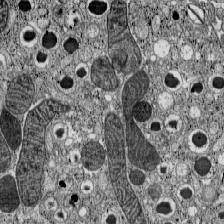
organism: C57BL Mouse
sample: Pancreatic islet